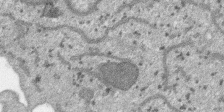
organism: Human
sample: Lung epithelial cells infected with SARS-CoV-2